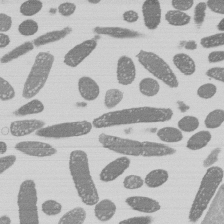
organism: E. coli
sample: Bacterial nucleoid